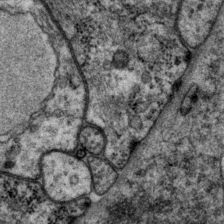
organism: P. pacificus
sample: Pharynx